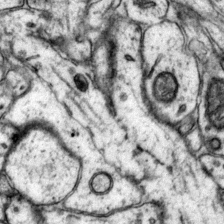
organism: Mouse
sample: Primary visual cortex